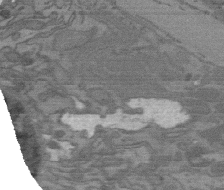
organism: C. elegans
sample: AFD neurons C. elegans